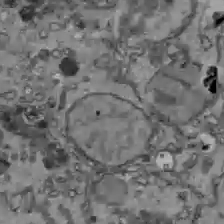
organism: C57BL Mouse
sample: Liver